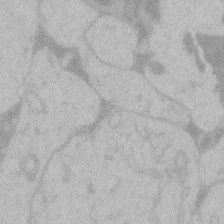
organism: Zebrafish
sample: Macrophage infected with Toxoplasma gondii